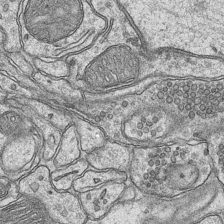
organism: Mouse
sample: CA1 Hippocampus